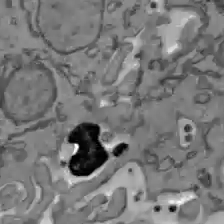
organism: C57BL Mouse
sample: Liver